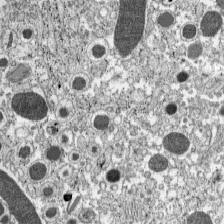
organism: C57BL Mouse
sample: Pancreatic islet